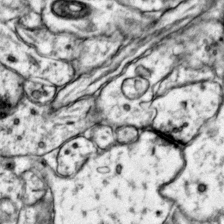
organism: Mouse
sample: Primary visual cortex